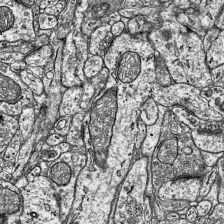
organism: Mouse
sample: Visual Cortex